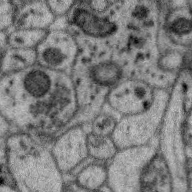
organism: Zebra finch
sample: Brain